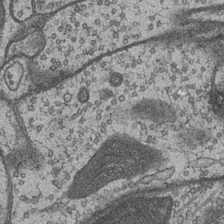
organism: Drosophila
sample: Optic medulla